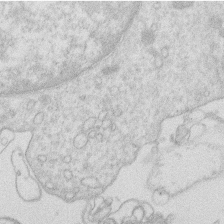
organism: Human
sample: Macrophage cells